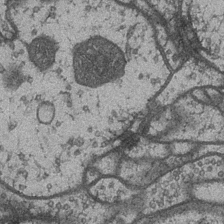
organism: Drosophila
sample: Optic medulla